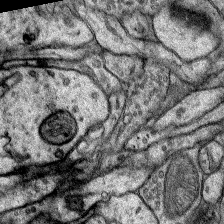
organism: Rat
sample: Hippocampus